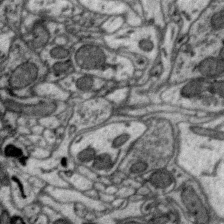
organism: Zebra finch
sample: Brain